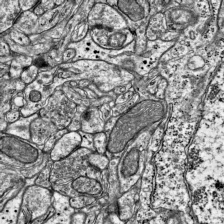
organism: Mouse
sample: Visual Cortex